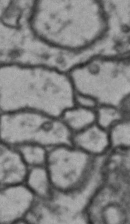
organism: Drosophila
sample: Brain